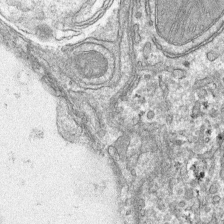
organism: Mouse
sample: Mouse hepatocytes